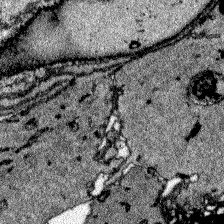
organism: Zebrafish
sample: Larval olfactory bulb